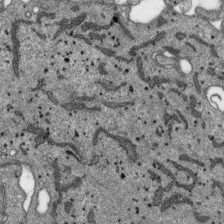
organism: Human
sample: Lung epithelial cells, uninfected (mock) control